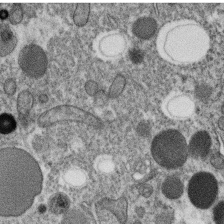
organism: C. elegans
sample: C. elegans oocyte; sperm cells